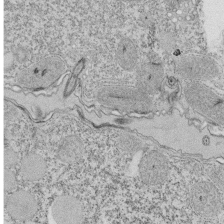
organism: Tetrahymena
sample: Cilia in tetrahymena